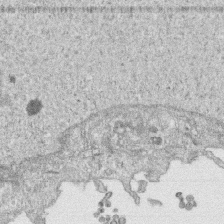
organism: Human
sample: HeLa cell HIV synapse